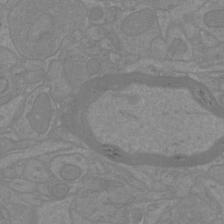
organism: Mouse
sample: Cortical neurons